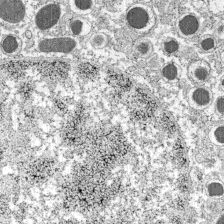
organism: C57BL Mouse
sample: Pancreatic islet